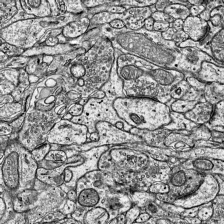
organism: Mouse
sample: Visual Cortex